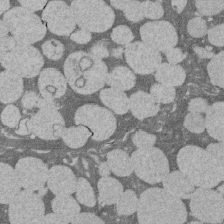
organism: Rat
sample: Salivary granule